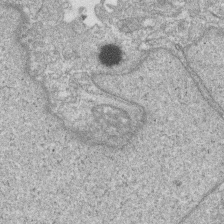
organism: Human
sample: HeLa cell HIV synapse